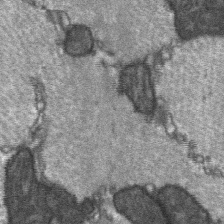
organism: C57BL Mouse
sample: Soleus